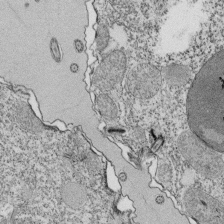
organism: Tetrahymena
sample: Cilia in tetrahymena